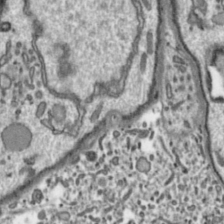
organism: Toxoplasma gondii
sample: Parasites in a vacuole inside a host cell